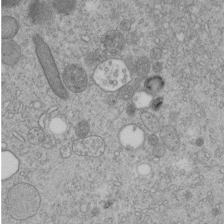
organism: C. elegans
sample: C. elegans embryo early stage